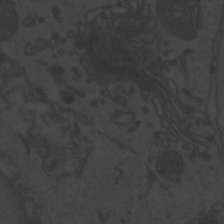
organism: Zebrafish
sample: Macrophage infected with Toxoplasma gondii